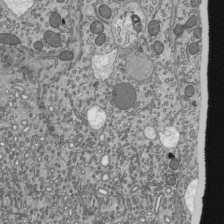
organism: Mouse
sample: Mouse epididymis efferent ductule cilia